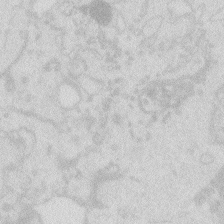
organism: Zebrafish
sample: Macrophage